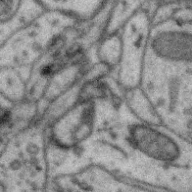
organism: Zebra finch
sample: Brain